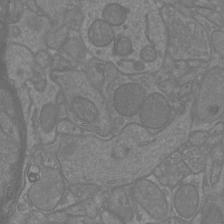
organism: Mouse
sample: Cortical neurons